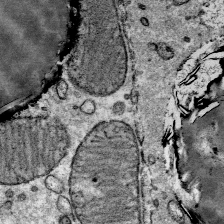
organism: Mouse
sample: Mouse Salivary gland